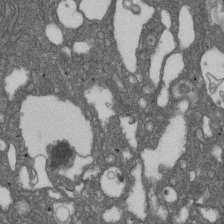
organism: Drosophila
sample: Nephrocyte